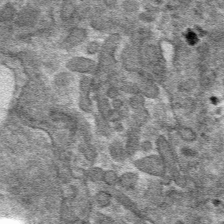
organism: Mouse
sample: Mouse hepatocytes